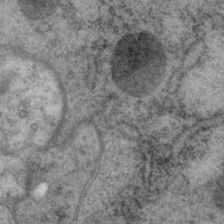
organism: P. pacificus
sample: Pharynx